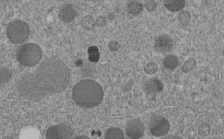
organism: C. elegans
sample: C. elegans embryo early stage